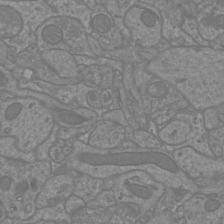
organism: Mouse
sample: Cortical neurons